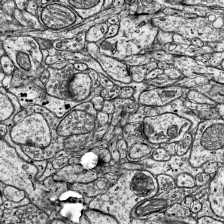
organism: Mouse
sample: Visual Cortex